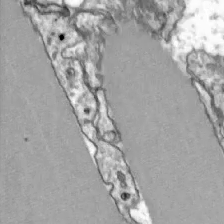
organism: Zebrafish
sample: Actinotrichia fibers